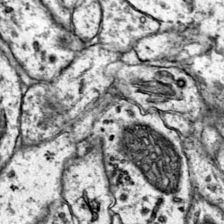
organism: Mouse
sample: Primary visual cortex